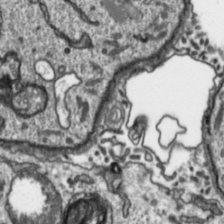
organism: Toxoplasma gondii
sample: Parasites in a vacuole inside a host cell